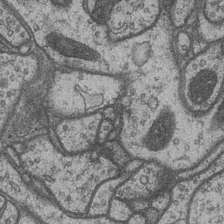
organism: Drosophila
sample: Optic medulla